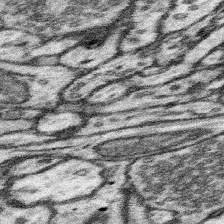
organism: Mouse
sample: Somatosensory cortex neuropil